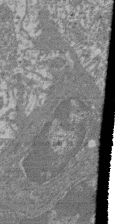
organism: Mouse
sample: Glomerulus